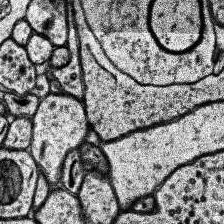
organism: Human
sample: Temporal Lobe